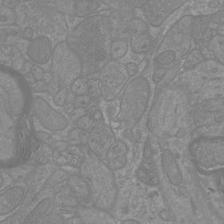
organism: Mouse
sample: Cortical neurons